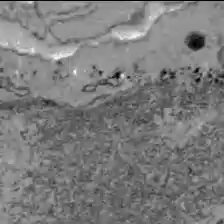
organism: C57BL Mouse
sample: Liver